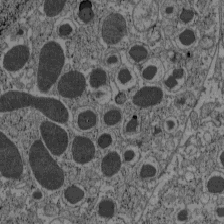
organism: C57BL Mouse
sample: Pancreatic islet